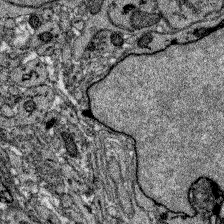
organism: Zebrafish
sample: Larval olfactory bulb